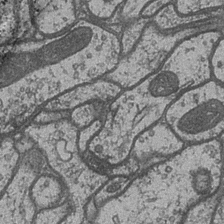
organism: Drosophila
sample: Optic medulla